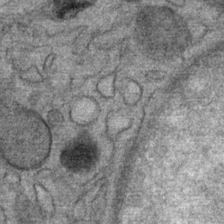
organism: Mouse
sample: Mouse Salivary gland